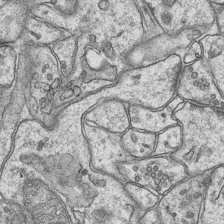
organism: Mouse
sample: CA1 Hippocampus